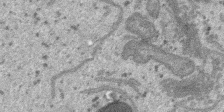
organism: Human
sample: Lung epithelial cells infected with SARS-CoV-2